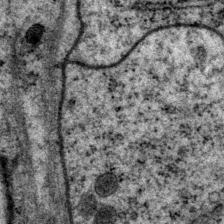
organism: P. pacificus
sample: Pharynx